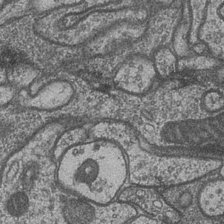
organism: Drosophila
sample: Optic medulla